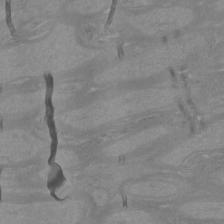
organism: Mouse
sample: Cortical neurons